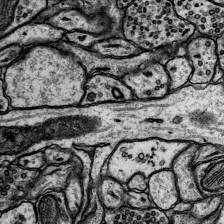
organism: Rat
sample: Hippocampus